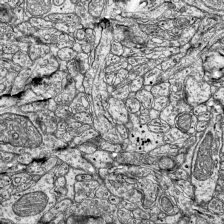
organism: Mouse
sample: Visual Cortex